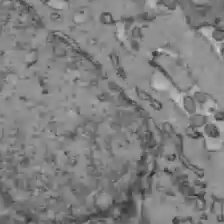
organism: C57BL Mouse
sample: Liver